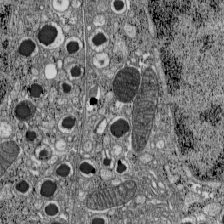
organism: C57BL Mouse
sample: Pancreatic islet